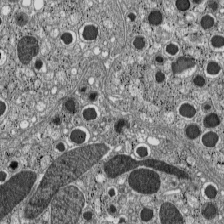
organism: C57BL Mouse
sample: Pancreatic islet